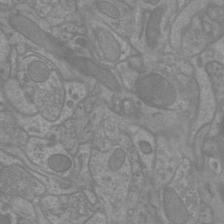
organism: Mouse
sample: Cortical neurons